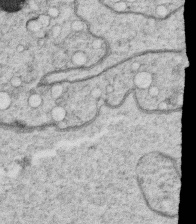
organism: C. elegans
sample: C. elegans oocyte; sperm cells